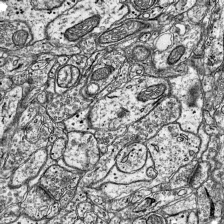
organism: Mouse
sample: Visual Cortex